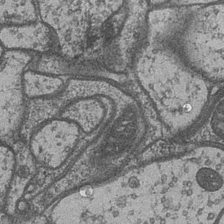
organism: Drosophila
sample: Optic medulla